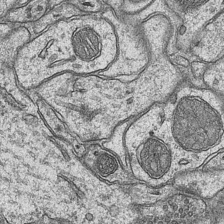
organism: Mouse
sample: CA1 Hippocampus